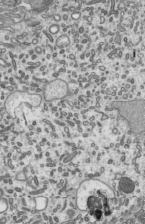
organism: Mouse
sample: Mouse epididymis efferent ductule cilia